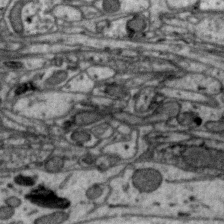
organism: Zebra finch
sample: Brain